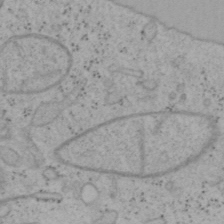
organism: Human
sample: HeLa cells